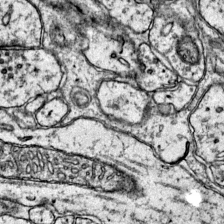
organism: Mouse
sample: Primary visual cortex